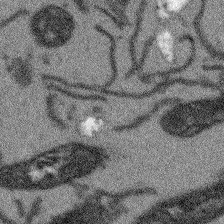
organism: Arabidopsis thaliana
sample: Root tip